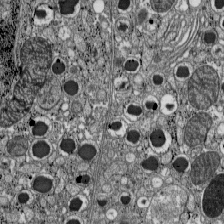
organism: C57BL Mouse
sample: Pancreatic islet